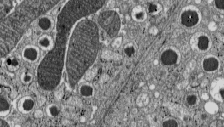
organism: C57BL Mouse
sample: Pancreatic islet